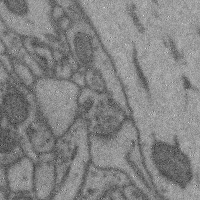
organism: Mouse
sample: Cerebral cortex